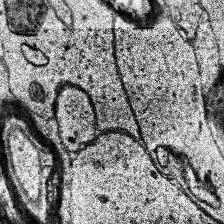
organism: Human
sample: Temporal Lobe